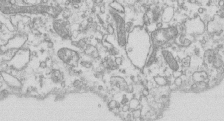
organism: Mouse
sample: Macrophages